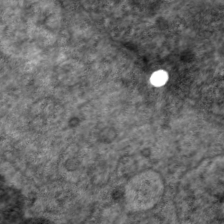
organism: C. elegans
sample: Pharynx